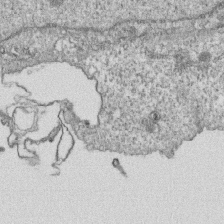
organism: Human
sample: HeLa cell HIV synapse